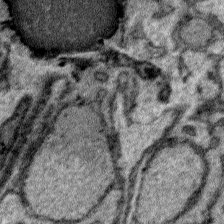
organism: Plasmodium falciparum